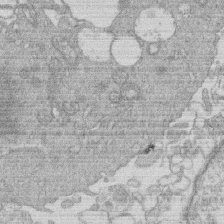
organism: Human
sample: Macrophage cells